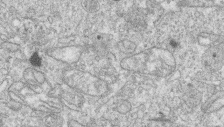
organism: Human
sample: HeLa cell HIV synapse